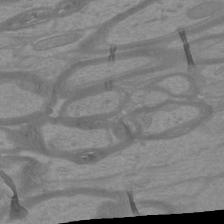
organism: Mouse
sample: Cortical neurons